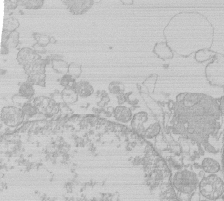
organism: Human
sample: Macrophage cells